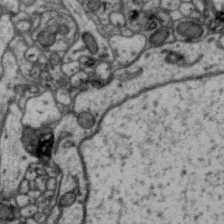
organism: Zebra finch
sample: Brain